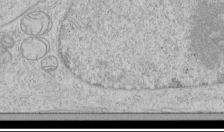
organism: Human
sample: Mitochondria in HCT116 cells